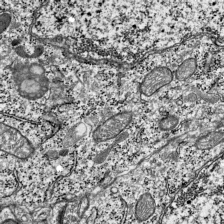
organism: Mouse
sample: Visual Cortex